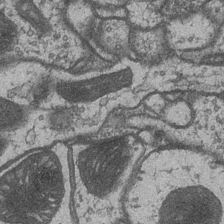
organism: Drosophila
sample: Optic medulla